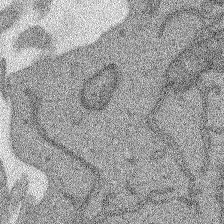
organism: Human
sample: HeLa cells